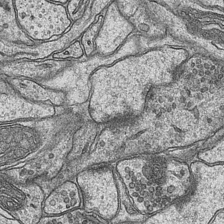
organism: Mouse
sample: CA1 Hippocampus